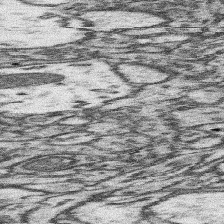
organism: Mouse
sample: Somatosensory cortex neuropil